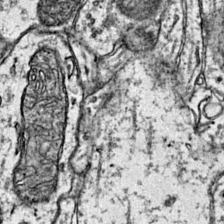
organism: Mouse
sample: Primary visual cortex